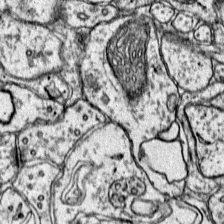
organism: Mouse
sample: Primary visual cortex